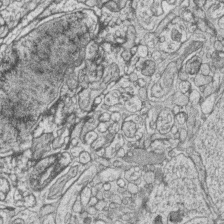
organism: Zebrafish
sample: synaptic ribbons in rod cells and cone cells